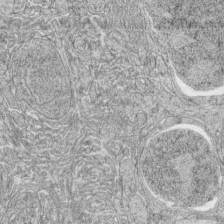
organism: Zebrafish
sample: synaptic ribbons in rod cells and cone cells